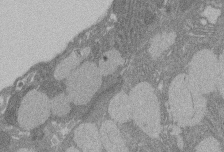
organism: Rat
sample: Salivary granule